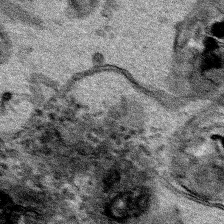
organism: Human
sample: Mitochondria in HCT116 cells